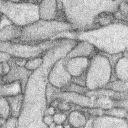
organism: Rabbit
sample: Retina